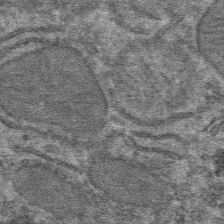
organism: Mouse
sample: Mouse hepatocytes